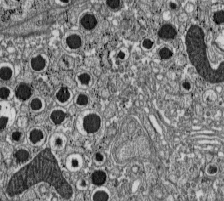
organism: C57BL Mouse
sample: Pancreatic islet